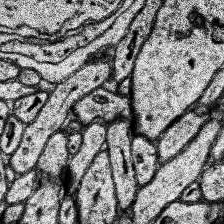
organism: Human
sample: Temporal Lobe